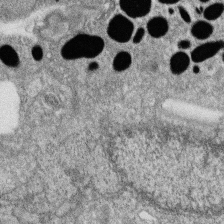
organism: Zebrafish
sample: Cilia; retinal pigment epithelium